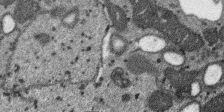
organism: Human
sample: Lung epithelial cells infected with SARS-CoV-2